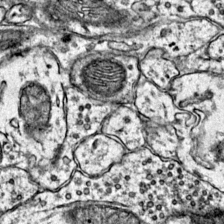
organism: Mouse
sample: Primary visual cortex